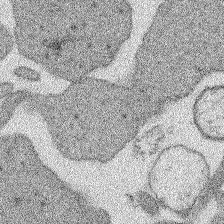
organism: Human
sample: HeLa cells